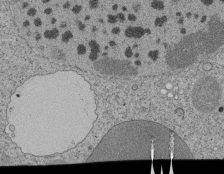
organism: Tetrahymena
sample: Cilia in tetrahymena